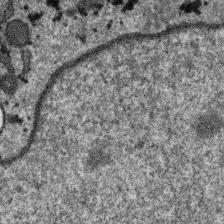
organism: Human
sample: Lung epithelial cells infected with SARS-CoV-2